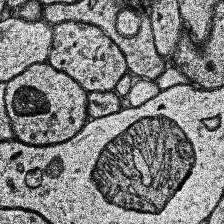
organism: Human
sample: Temporal Lobe